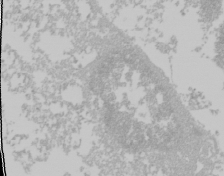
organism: Mouse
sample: Cancer cell death in ED-1 cells